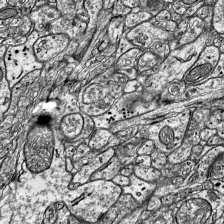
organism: Mouse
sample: Visual Cortex